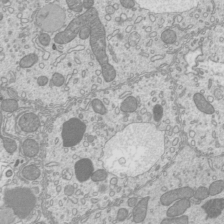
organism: Mouse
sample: Cilia; mouse epididymis